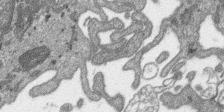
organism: Human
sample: Lung epithelial cells infected with SARS-CoV-2